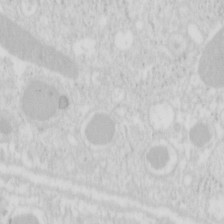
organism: Mouse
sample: Pancreas